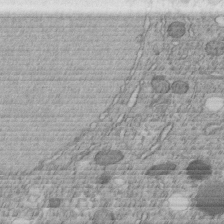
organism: C. elegans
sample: C. elegans embryo early stage